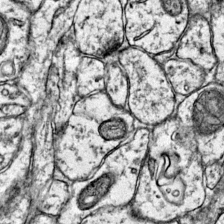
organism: Mouse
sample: Primary visual cortex